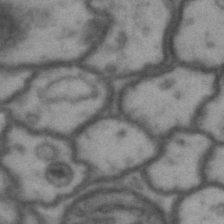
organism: Drosophila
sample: Brain